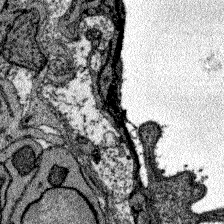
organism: Zebrafish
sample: Larval olfactory bulb